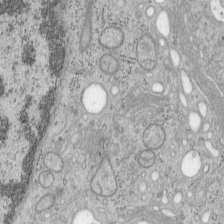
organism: Mouse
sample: OT-I killer T cells with ID8 ovarian cancer cells